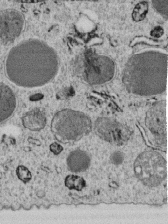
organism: C. elegans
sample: C. elegans embryo early stage